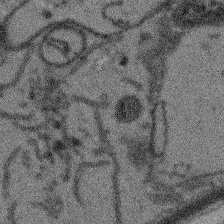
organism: Arabidopsis thaliana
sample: Root tip